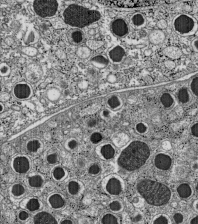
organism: C57BL Mouse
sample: Pancreatic islet